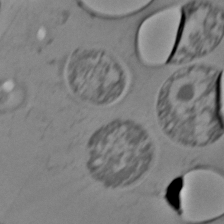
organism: C. elegans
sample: C. elegans embryo